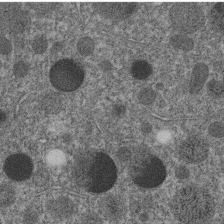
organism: C. elegans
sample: C. elegans embryo early stage